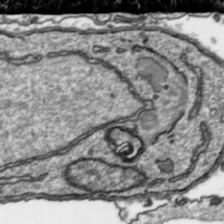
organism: Toxoplasma gondii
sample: Parasites in a vacuole inside a host cell